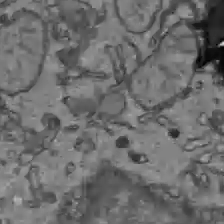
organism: C57BL Mouse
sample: Liver